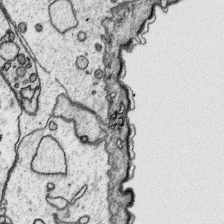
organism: Platynereis dumerilii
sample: Parapodia